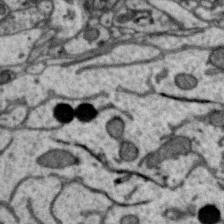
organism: Zebra finch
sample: Brain